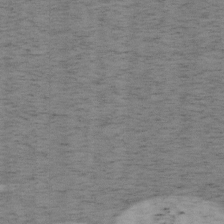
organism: Mouse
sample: OT-I killer T cells with ID8 ovarian cancer cells